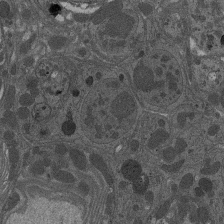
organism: Drosophila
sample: Antenna